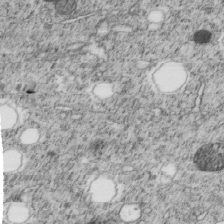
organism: C. elegans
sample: C. elegans embryo early stage